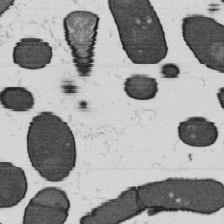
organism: B. subtilis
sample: Bacterial spore